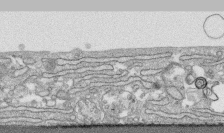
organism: Human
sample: CRL-1474